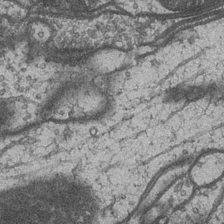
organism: Drosophila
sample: Optic medulla